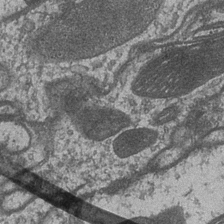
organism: Drosophila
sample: Optic medulla